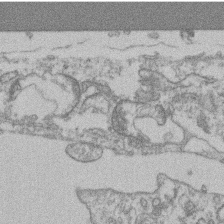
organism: Mouse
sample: T cell stromal cell synapse